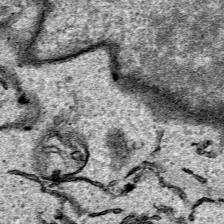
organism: Human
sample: Mitochondria in HCT116 cells